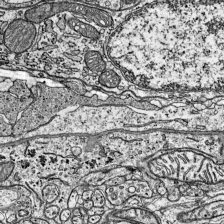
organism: Mouse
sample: Visual Cortex